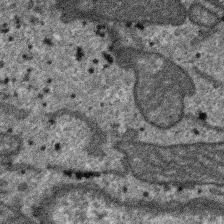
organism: Human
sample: Lung epithelial cells infected with SARS-CoV-2